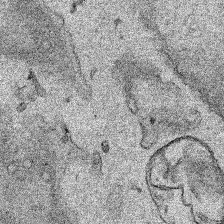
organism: Human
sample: Mitochondria in HCT116 cells